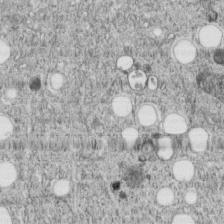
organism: C. elegans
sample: C. elegans embryo early stage